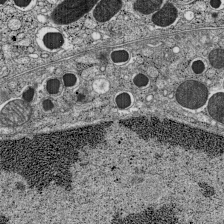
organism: C57BL Mouse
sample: Pancreatic islet